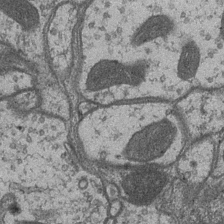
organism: Drosophila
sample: Optic medulla